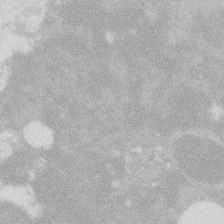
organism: Zebrafish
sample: Macrophage